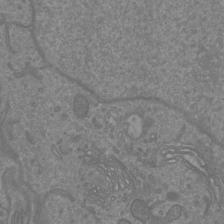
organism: Mouse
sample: Cortical neurons